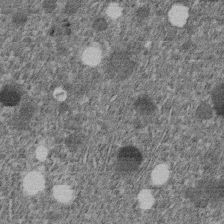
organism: C. elegans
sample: C. elegans embryo early stage